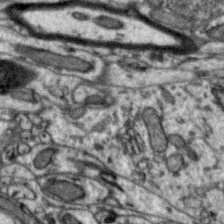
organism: Zebra finch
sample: Brain